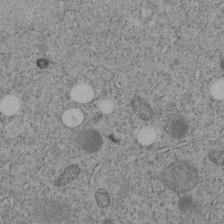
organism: C. elegans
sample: C. elegans embryo early stage